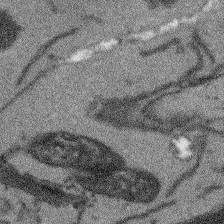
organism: Arabidopsis thaliana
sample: Root tip